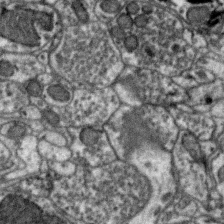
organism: Zebra finch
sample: Brain